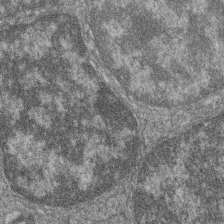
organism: Zebrafish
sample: Cilia; retinal pigment epithelium